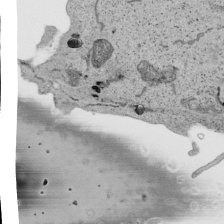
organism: Human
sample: Mitochondria in HCT116 cells